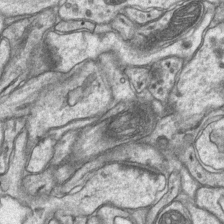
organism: Mouse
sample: CA1 Hippocampus